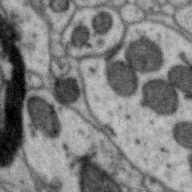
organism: Zebra finch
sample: Brain